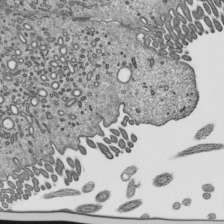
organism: Mouse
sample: Mouse epididymis efferent ductule cilia